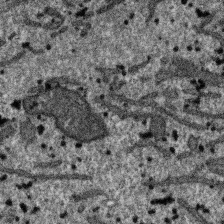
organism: Human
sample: Lung epithelial cells infected with SARS-CoV-2